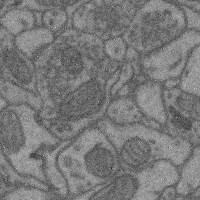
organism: Mouse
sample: Cerebral cortex